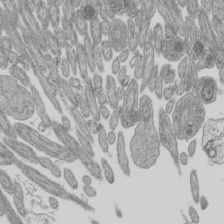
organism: Mouse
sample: Cilia; mouse epididymis